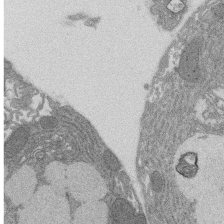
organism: Rat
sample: Salivary granule